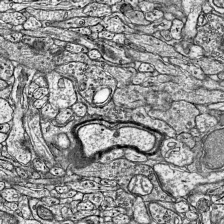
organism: Mouse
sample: Visual Cortex